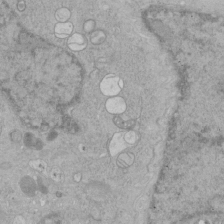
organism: Human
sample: Mitochondria in HCT116 cells